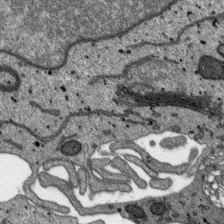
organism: Human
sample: Lung epithelial cells, uninfected (mock) control